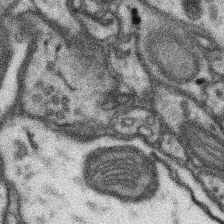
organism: Mouse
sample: Somatosensory cortex neuropil